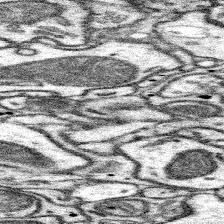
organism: Mouse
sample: Somatosensory cortex neuropil